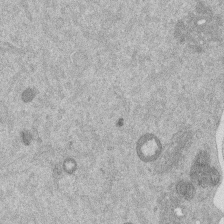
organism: Mouse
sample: Dividing mouse embryo 1 cell stage